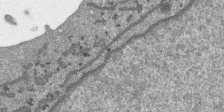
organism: Human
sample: Lung epithelial cells infected with SARS-CoV-2